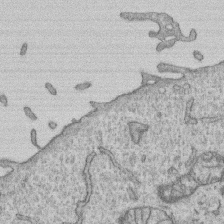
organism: Human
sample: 1205lu cells